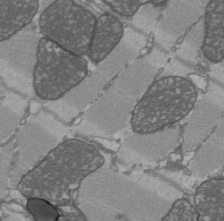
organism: C57BL Mouse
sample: Heart